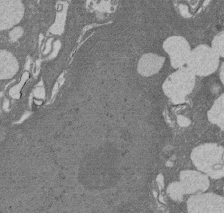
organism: Rat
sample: Salivary granule